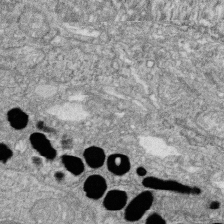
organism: Zebrafish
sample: Cilia; retinal pigment epithelium